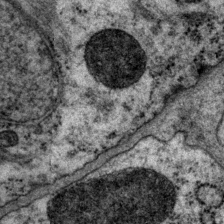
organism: P. pacificus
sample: Pharynx